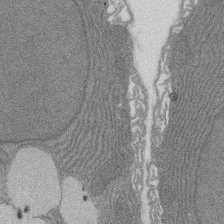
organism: Rat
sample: Salivary granule